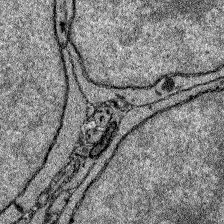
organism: Zebrafish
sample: Larval olfactory bulb